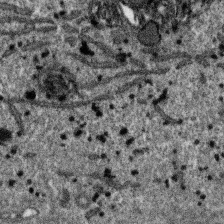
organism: Human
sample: Lung epithelial cells infected with SARS-CoV-2